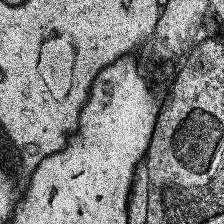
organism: Human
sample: Temporal Lobe